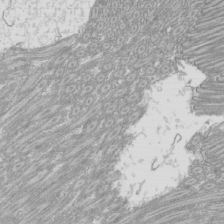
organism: Mouse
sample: Cilia; mouse epididymis